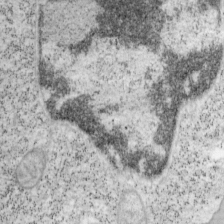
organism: Mouse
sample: OT-I killer T cells with ID8 ovarian cancer cells